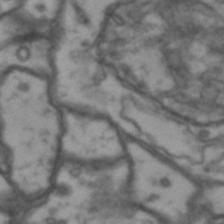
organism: Drosophila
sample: Brain